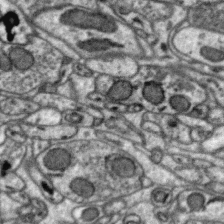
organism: Zebra finch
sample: Brain